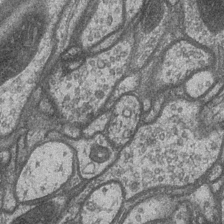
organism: Drosophila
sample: Optic medulla